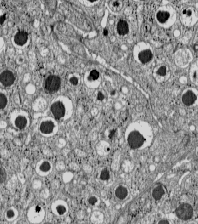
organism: C57BL Mouse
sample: Pancreatic islet